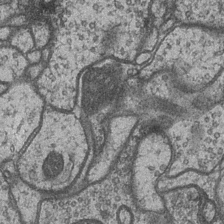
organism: Drosophila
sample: Optic medulla